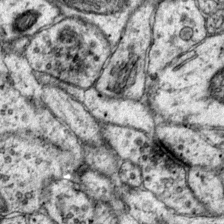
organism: Mouse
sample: Primary visual cortex